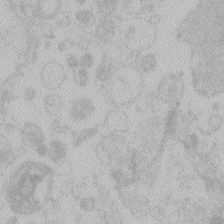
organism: Zebrafish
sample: Macrophage infected with Toxoplasma gondii